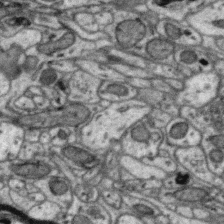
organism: Zebra finch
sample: Brain